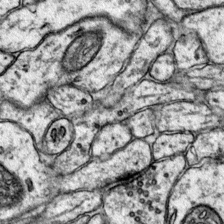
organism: Mouse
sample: Primary visual cortex